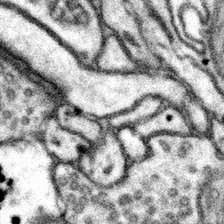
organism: Mouse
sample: Somatosensory cortex neuropil